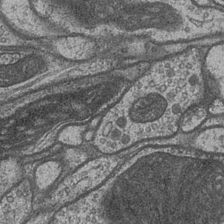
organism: Drosophila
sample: Optic medulla